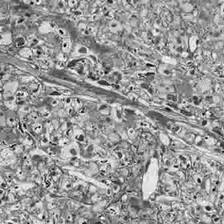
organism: Drosophila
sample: Optic lobe